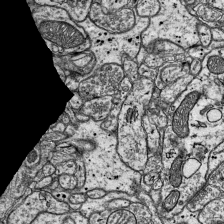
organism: Mouse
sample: Visual Cortex